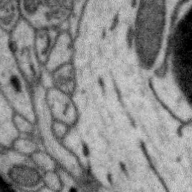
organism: Zebra finch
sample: Brain